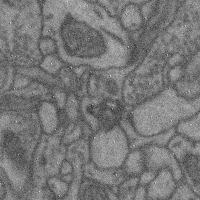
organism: Mouse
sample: Cerebral cortex